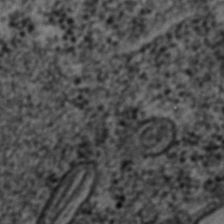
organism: C. elegans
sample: C. elegans embryo